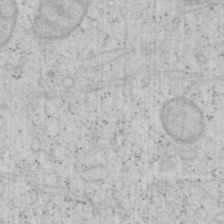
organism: Human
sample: HeLa cells